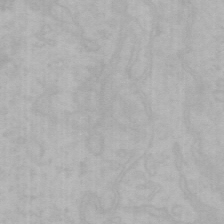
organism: Mouse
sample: Choroid plexus